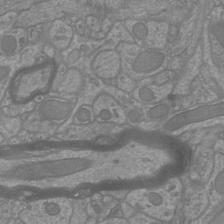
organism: Mouse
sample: Cortical neurons